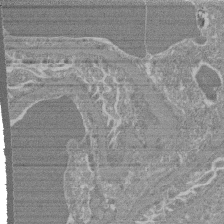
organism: Mouse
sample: Glomerulus